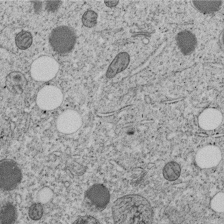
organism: C. elegans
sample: C. elegans embryo early stage